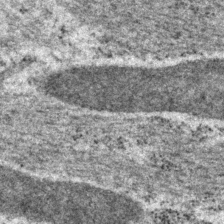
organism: P. pacificus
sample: Pharynx